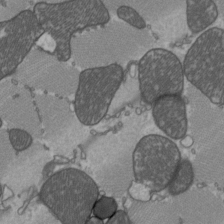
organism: C57BL Mouse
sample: Heart